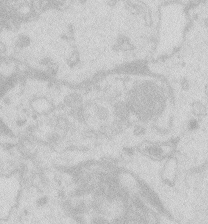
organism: Zebrafish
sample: Macrophage